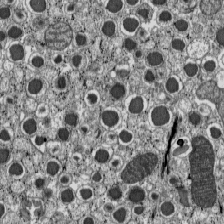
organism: C57BL Mouse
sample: Pancreatic islet